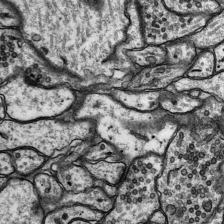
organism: Rat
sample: Hippocampus